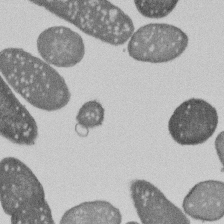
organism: E. coli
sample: Bacterial nucleoid